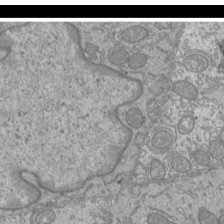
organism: Mouse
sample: Cilia; mouse epididymis